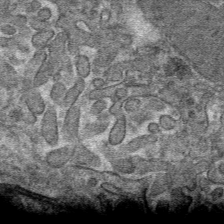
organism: Mouse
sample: Mouse hepatocytes